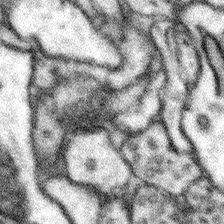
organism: Mouse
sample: Somatosensory cortex neuropil